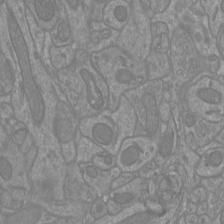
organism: Mouse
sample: Cortical neurons